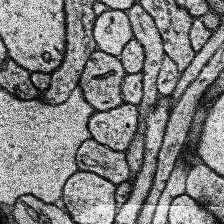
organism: Human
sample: Temporal Lobe